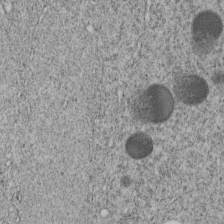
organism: C. elegans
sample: C. elegans embryo early stage